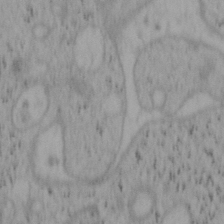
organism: Mouse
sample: OT-I killer T cells with ID8 ovarian cancer cells